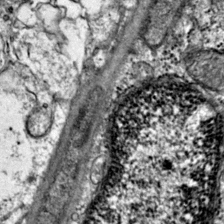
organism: Mouse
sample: Primary visual cortex